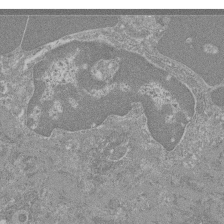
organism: Mouse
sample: Glomerulus